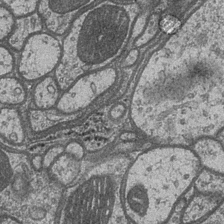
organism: Drosophila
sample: Optic medulla